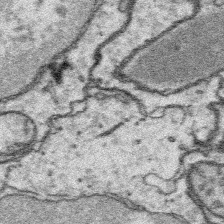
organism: Platynereis dumerilii